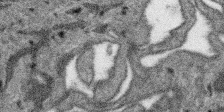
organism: Human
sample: Lung epithelial cells infected with SARS-CoV-2